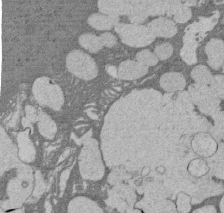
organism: Rat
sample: Salivary granule